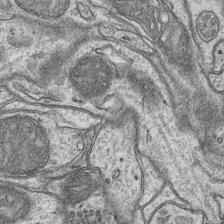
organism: Mouse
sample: CA1 Hippocampus